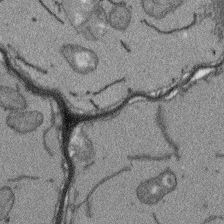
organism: Arabidopsis thaliana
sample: Root tip